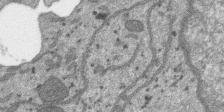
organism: Human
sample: Lung epithelial cells infected with SARS-CoV-2